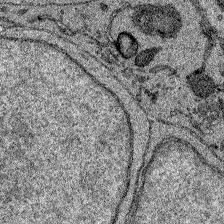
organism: Zebrafish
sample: Larval olfactory bulb